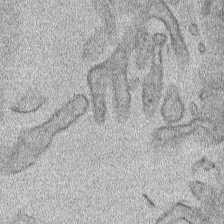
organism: Human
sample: Mitochondria in HCT116 cells